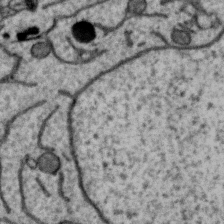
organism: Zebra finch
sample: Brain